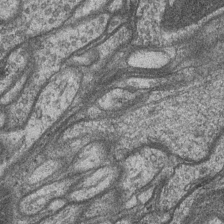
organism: Drosophila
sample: Optic medulla